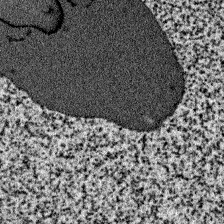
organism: Zebrafish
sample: Larval olfactory bulb